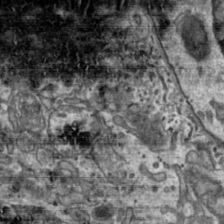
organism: Toxoplasma gondii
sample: Parasites in a vacuole inside a host cell